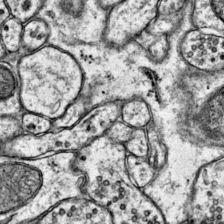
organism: Mouse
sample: Primary visual cortex